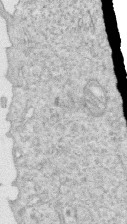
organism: Human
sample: HeLa cell HIV synapse